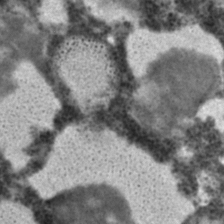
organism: C. elegans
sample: C. elegans embryo